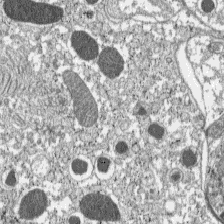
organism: C57BL Mouse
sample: Pancreatic islet